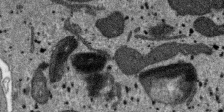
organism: Human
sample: Lung epithelial cells, uninfected (mock) control